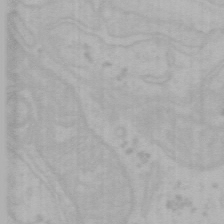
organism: Mouse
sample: Choroid plexus